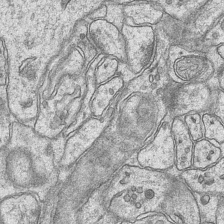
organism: Mouse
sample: CA1 Hippocampus